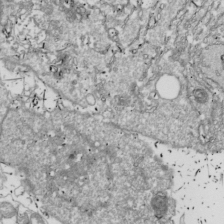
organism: Drosophila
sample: Cell division; meiosis; drosophila spermatocytes